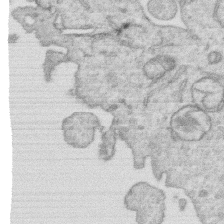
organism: Human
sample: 1205lu cells